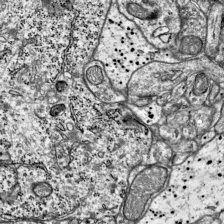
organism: Mouse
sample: Visual Cortex